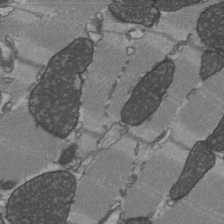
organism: C57BL Mouse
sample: Heart